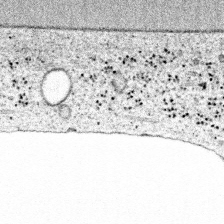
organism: Human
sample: HeLa cells